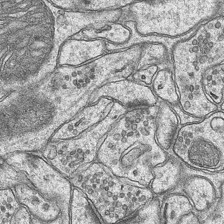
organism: Mouse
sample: CA1 Hippocampus